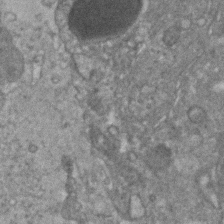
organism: Human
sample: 1205lu cells